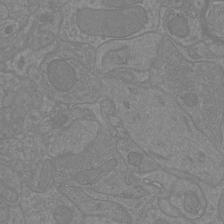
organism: Mouse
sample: Cortical neurons